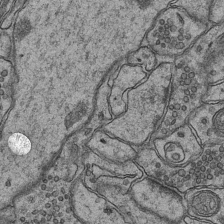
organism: Mouse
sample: CA1 Hippocampus